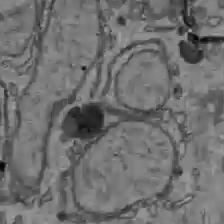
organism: C57BL Mouse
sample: Liver